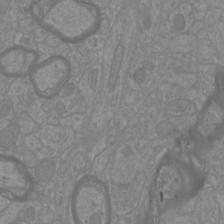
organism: Mouse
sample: Cortical neurons